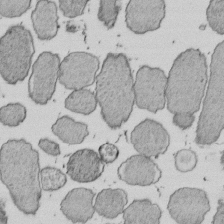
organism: E. coli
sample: Bacterial nucleoid